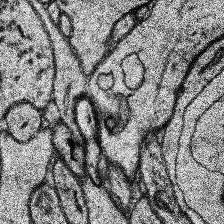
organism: Human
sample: Temporal Lobe